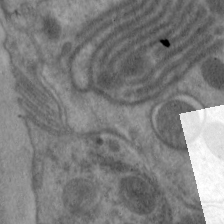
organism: C. elegans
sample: Pharynx